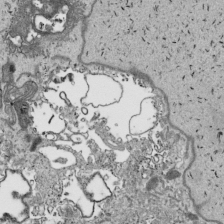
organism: Human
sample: Mitochondria in HCT116 cells